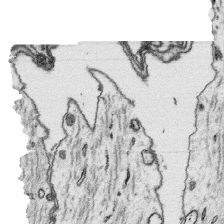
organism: Platynereis dumerilii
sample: Parapodia